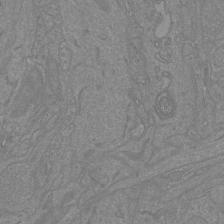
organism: Mouse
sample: Cortical neurons